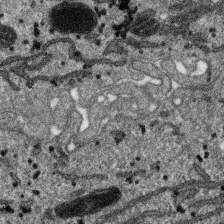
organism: Human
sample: Lung epithelial cells infected with SARS-CoV-2